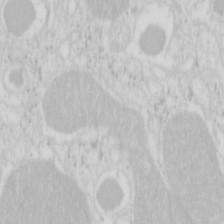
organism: Mouse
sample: Pancreas